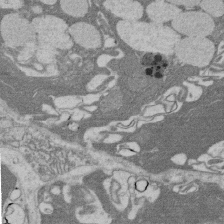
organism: Rat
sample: Salivary granule